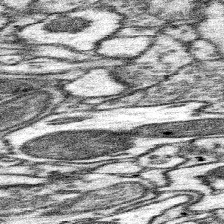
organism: Mouse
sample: Somatosensory cortex neuropil